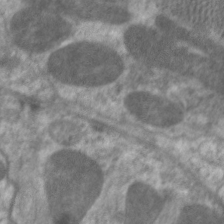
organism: C. elegans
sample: Pharynx